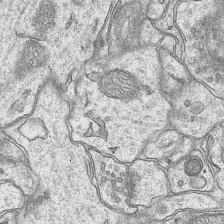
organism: Mouse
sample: CA1 Hippocampus